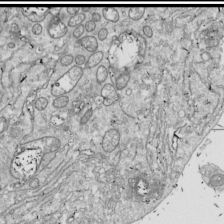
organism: Drosophila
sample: Cell division; meiosis; drosophila spermatocytes